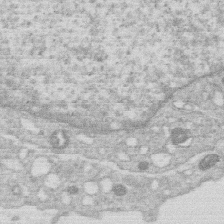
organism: Human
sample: Macrophage cells